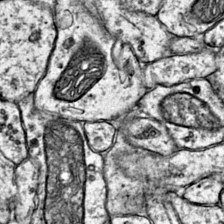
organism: Mouse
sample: Primary visual cortex